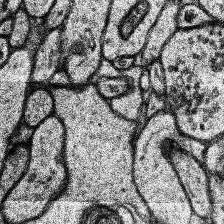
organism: Human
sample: Temporal Lobe